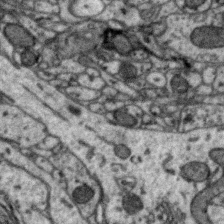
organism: Zebra finch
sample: Brain